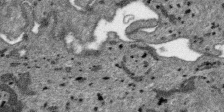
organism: Human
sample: Lung epithelial cells, uninfected (mock) control